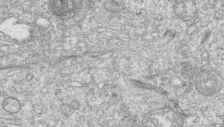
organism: Human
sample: HeLa cell HIV synapse